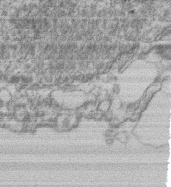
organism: Mouse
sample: T cell stromal cell synapse